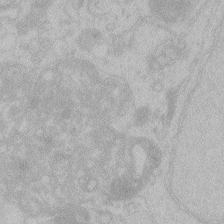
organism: Zebrafish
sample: Macrophage infected with Toxoplasma gondii